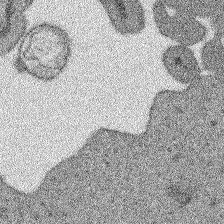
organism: Human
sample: HeLa cells